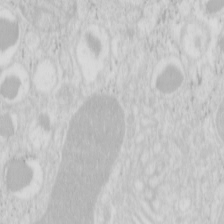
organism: Mouse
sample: Pancreas